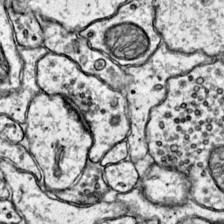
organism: Mouse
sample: Primary visual cortex